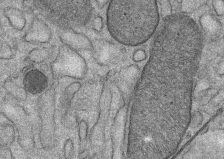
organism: Mouse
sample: Mouse Salivary gland